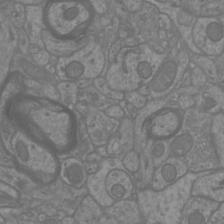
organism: Mouse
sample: Cortical neurons